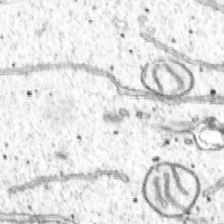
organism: Human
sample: HeLa cells